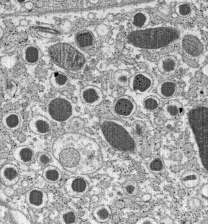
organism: C57BL Mouse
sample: Pancreatic islet